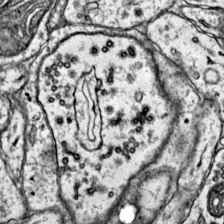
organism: Mouse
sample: Primary visual cortex